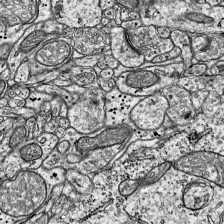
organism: Mouse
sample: Visual Cortex